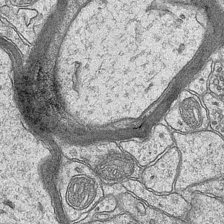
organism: Mouse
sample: CA1 Hippocampus